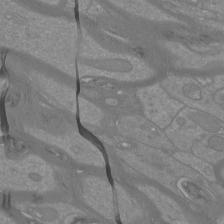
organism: Mouse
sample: Cortical neurons